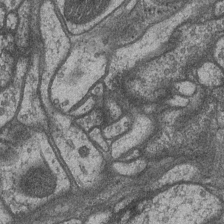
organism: Drosophila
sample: Optic medulla